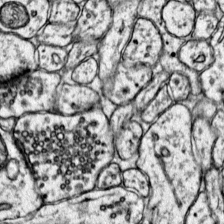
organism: Mouse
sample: Primary visual cortex